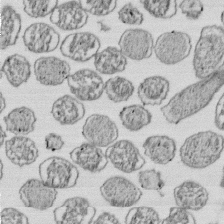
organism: E. coli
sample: Bacterial nucleoid